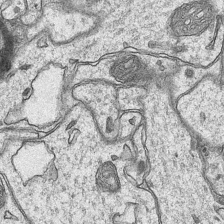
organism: Mouse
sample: CA1 Hippocampus